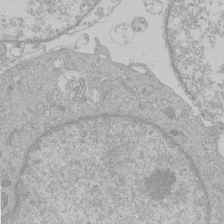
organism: Human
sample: Macrophage cells